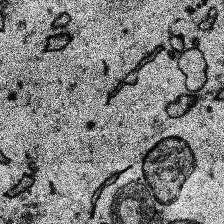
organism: Human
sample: Temporal Lobe